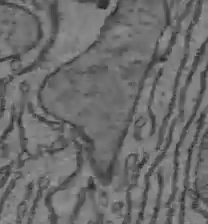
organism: C57BL Mouse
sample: Liver